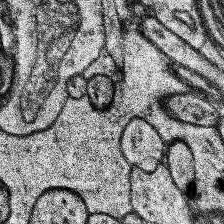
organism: Human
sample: Temporal Lobe